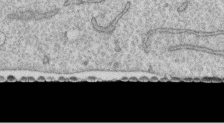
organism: Human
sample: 1205lu cells